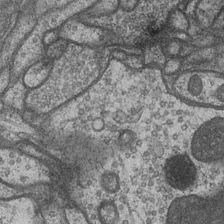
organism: Drosophila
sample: Optic medulla